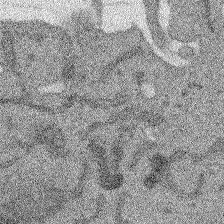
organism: Human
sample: HeLa cells